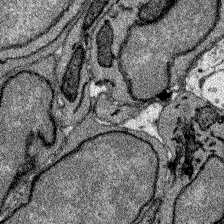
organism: Zebrafish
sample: Larval olfactory bulb